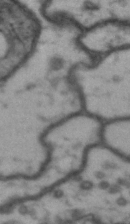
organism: Drosophila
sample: Brain